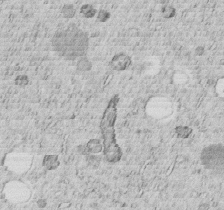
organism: C. elegans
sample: C. elegans embryo early stage